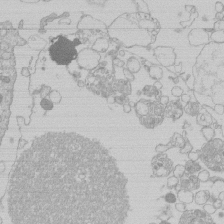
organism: Human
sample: Macrophage cells